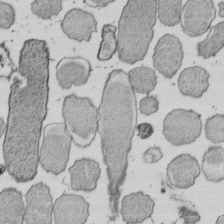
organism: E. coli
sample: Bacterial nucleoid